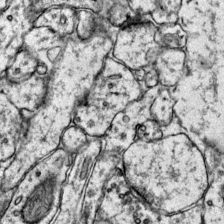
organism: Mouse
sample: Primary visual cortex